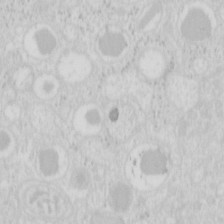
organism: Mouse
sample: Pancreas